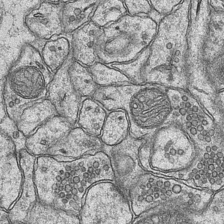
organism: Mouse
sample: CA1 Hippocampus